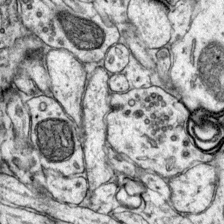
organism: Mouse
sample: Primary visual cortex